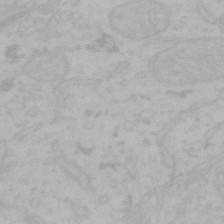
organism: Mouse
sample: Choroid plexus